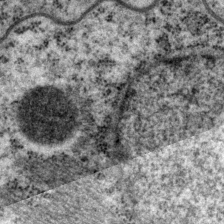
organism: P. pacificus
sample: Pharynx